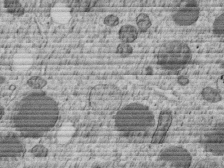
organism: C. elegans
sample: C. elegans embryo early stage